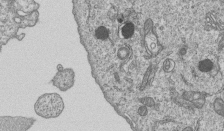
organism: Human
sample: MDA-MB-231 cells